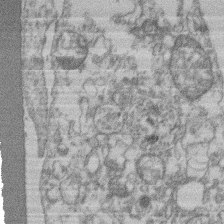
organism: Mouse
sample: T cell stromal cell synapse